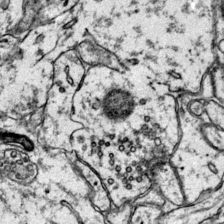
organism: Mouse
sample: Primary visual cortex